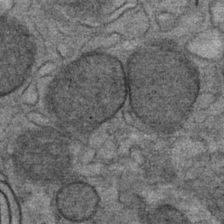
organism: Mouse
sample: Mouse Salivary gland